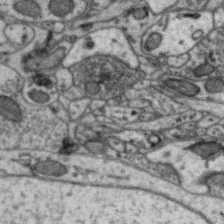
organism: Zebra finch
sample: Brain